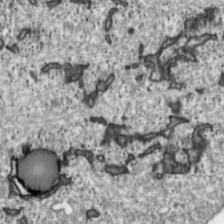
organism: Toxoplasma gondii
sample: Parasites in a vacuole inside a host cell